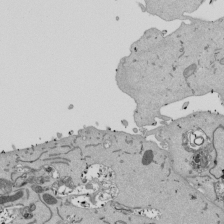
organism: Mouse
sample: ED-1 cell nuclei; centrioles